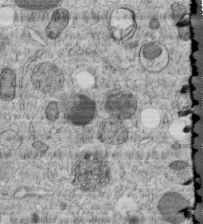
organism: C. elegans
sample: C. elegans embryo early stage